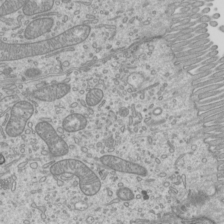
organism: Mouse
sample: Cilia; mouse epididymis